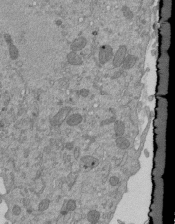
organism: Mouse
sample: ED-1 cell nuclei; centrioles